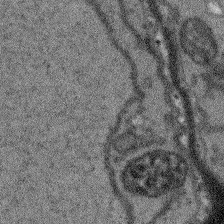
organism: Arabidopsis thaliana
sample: Root tip